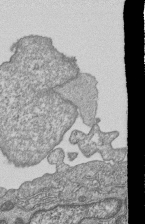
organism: Human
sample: MDA-MB-231 cells